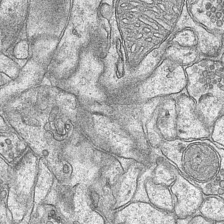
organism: Mouse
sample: CA1 Hippocampus